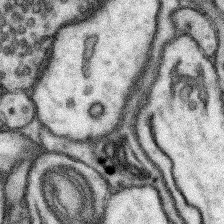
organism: Mouse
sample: Somatosensory cortex neuropil